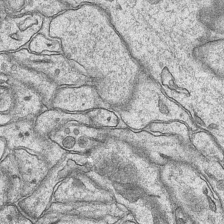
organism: Mouse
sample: CA1 Hippocampus